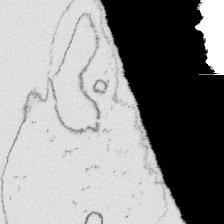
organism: Platynereis dumerilii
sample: Parapodia